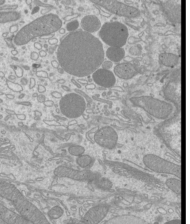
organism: Mouse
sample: Cilia; mouse epididymis